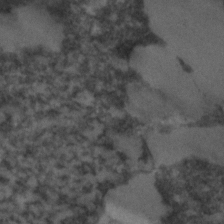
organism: C. elegans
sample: C. elegans embryo